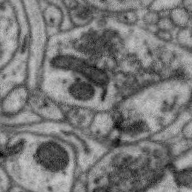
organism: Zebra finch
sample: Brain